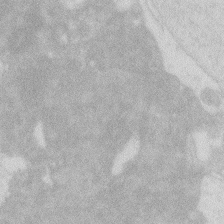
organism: Zebrafish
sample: Macrophage